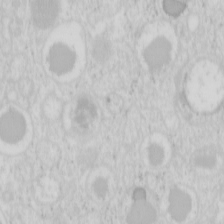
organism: Mouse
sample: Pancreas